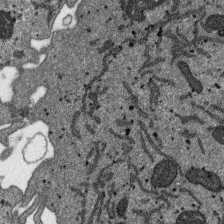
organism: Human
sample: Lung epithelial cells infected with SARS-CoV-2